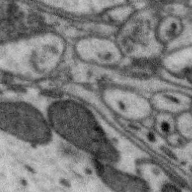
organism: Zebra finch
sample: Brain